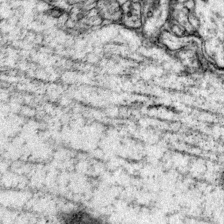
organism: Mouse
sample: Primary visual cortex